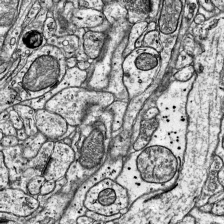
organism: Mouse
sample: Visual Cortex